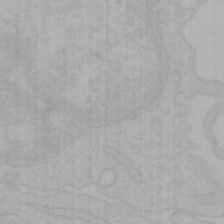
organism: Mouse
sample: Choroid plexus